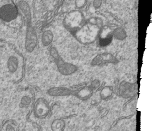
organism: Human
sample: MDA-MB-231 cells